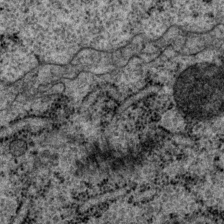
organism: P. pacificus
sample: Pharynx